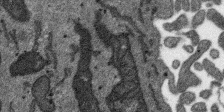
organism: Human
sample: Lung epithelial cells infected with SARS-CoV-2